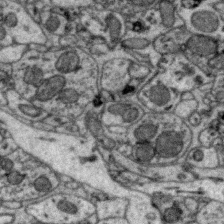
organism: Zebra finch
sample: Brain